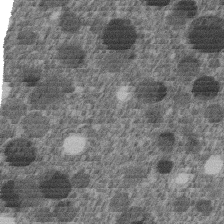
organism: C. elegans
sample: C. elegans embryo early stage